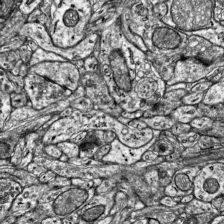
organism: Mouse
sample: Visual Cortex